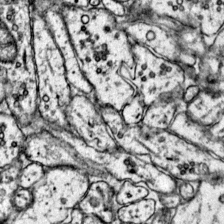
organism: Mouse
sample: Primary visual cortex